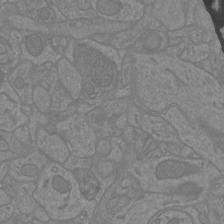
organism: Mouse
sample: Cortical neurons